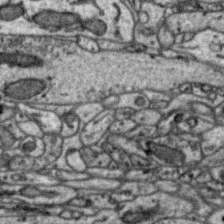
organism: Zebra finch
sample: Brain